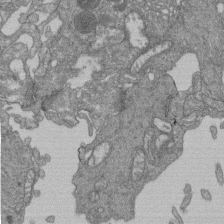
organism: Human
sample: Retinal organoid Rod and Cone cells